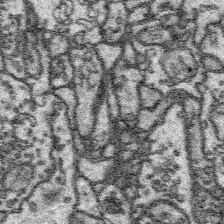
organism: Platynereis dumerilii